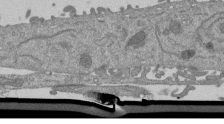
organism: Mouse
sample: ED-1 cell nuclei; centrioles